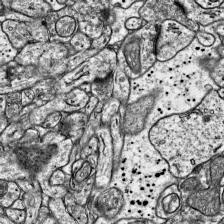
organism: Mouse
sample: Visual Cortex